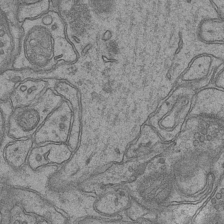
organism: Mouse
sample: CA1 Hippocampus